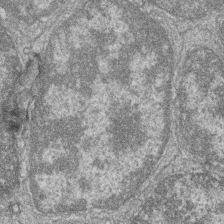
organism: Zebrafish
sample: Cilia; retinal pigment epithelium